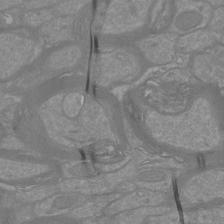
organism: Mouse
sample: Cortical neurons